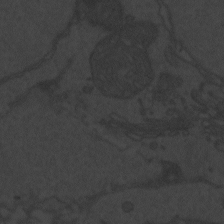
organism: Zebrafish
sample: Macrophage infected with Toxoplasma gondii